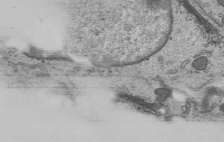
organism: Mouse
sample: Mouse epididymis efferent ductule cilia